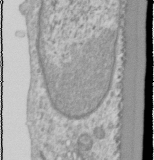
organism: Human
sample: Cilia; basal body in RPE cells